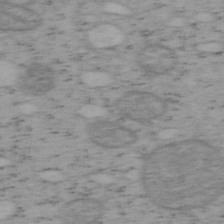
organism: Mouse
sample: OT-I killer T cells with ID8 ovarian cancer cells